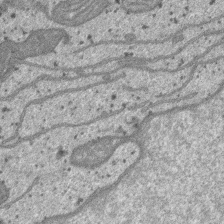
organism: Human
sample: Lung epithelial cells infected with SARS-CoV-2